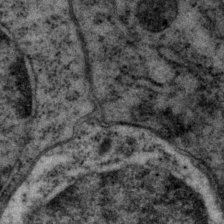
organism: P. pacificus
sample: Pharynx